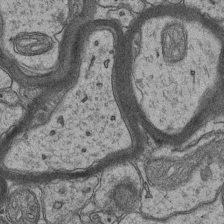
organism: Mouse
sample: CA1 Hippocampus